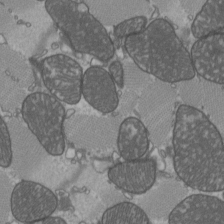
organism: C57BL Mouse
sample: Heart